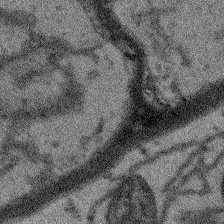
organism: Arabidopsis thaliana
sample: Root tip